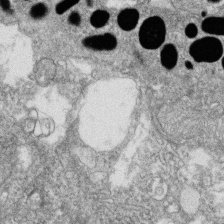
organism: Zebrafish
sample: Cilia; retinal pigment epithelium